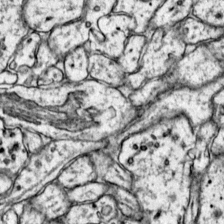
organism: Mouse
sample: Primary visual cortex